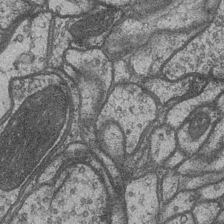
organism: Drosophila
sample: Optic medulla